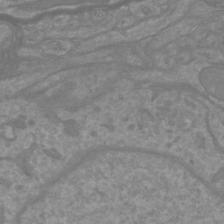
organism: Mouse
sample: Cortical neurons